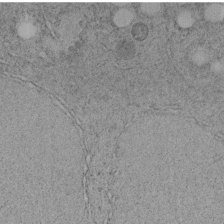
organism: C. elegans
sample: C. elegans embryo early stage